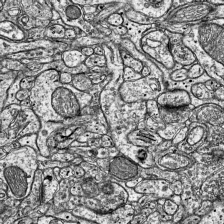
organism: Mouse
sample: Visual Cortex